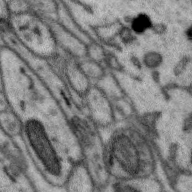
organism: Zebra finch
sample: Brain